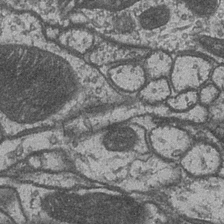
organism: Drosophila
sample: Optic medulla